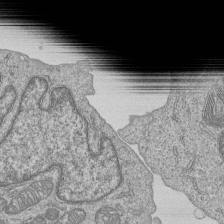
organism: Human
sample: MDA-MB-231 cells